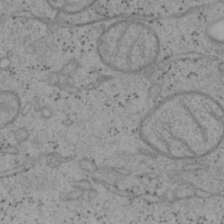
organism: Human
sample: HeLa cells